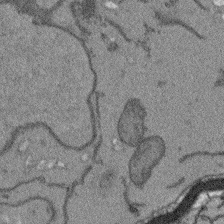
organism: Arabidopsis thaliana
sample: Root tip